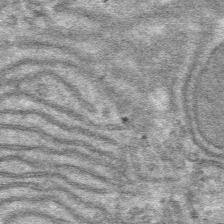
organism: Mouse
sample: Mouse hepatocytes